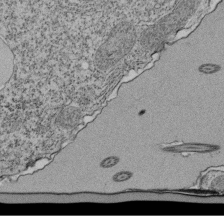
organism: Tetrahymena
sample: Cilia in tetrahymena